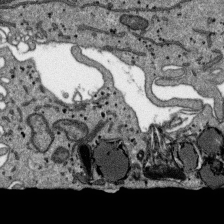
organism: Human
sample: Lung epithelial cells, uninfected (mock) control